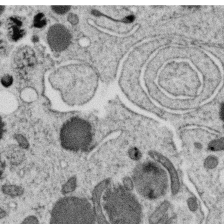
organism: C. elegans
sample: C. elegans oocyte; sperm cells